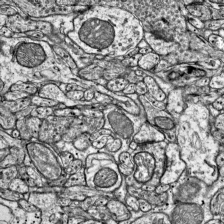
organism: Mouse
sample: Visual Cortex